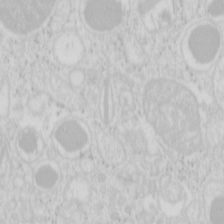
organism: Mouse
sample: Pancreas